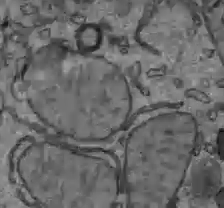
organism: C57BL Mouse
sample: Liver